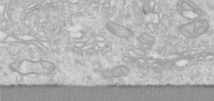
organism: Human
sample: Centriole in RPE cells